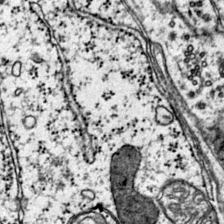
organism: Mouse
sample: Primary visual cortex